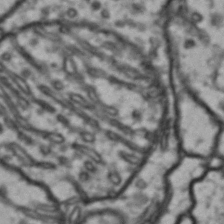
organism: Drosophila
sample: Brain